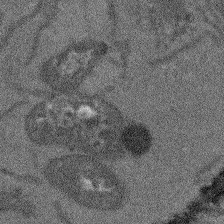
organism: Arabidopsis thaliana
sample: Root tip